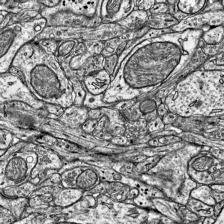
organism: Mouse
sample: Visual Cortex